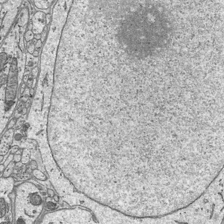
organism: Mouse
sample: Suprachiasmatic nucleus